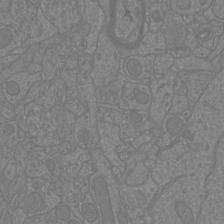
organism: Mouse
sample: Cortical neurons